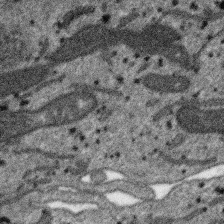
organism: Human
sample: Lung epithelial cells infected with SARS-CoV-2